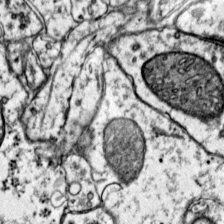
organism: Mouse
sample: Primary visual cortex